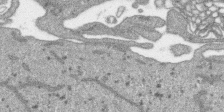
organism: Human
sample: Lung epithelial cells infected with SARS-CoV-2